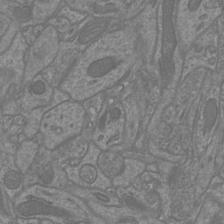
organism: Mouse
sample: Cortical neurons